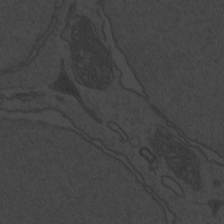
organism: Zebrafish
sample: Macrophage infected with Toxoplasma gondii